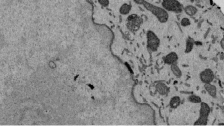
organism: Mouse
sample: ED-1 cell nuclei; centrioles